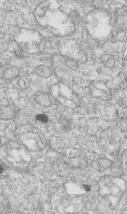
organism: Human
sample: HeLa cell HIV synapse